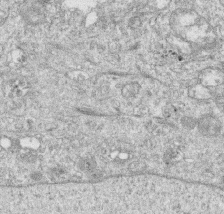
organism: Human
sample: HeLa cell HIV synapse